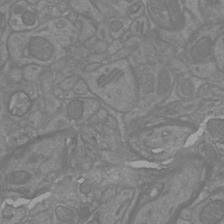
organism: Mouse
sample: Cortical neurons